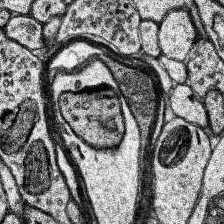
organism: Human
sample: Temporal Lobe